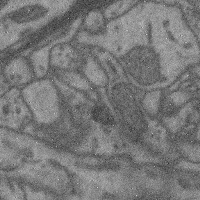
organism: Mouse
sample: Cerebral cortex